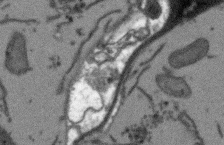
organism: Arabidopsis thaliana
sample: Root tip